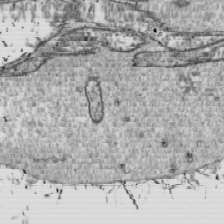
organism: Drosophila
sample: Cell division; meiosis; drosophila spermatocytes